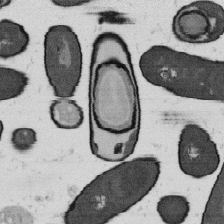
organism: B. subtilis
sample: Bacterial spore